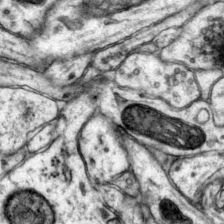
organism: Mouse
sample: Primary visual cortex